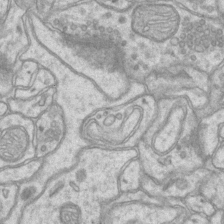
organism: Mouse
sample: CA1 Hippocampus